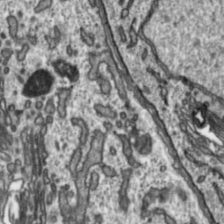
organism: Toxoplasma gondii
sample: Parasites in a vacuole inside a host cell